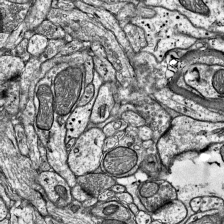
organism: Mouse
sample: Visual Cortex